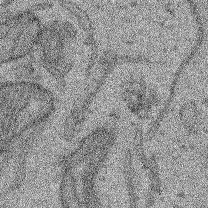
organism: Human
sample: HeLa cells